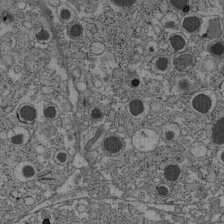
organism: C57BL Mouse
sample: Pancreatic islet